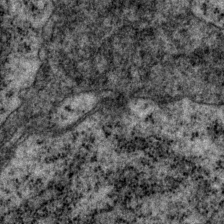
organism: P. pacificus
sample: Pharynx